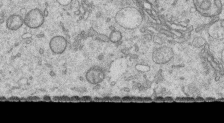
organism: Human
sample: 1205lu cells